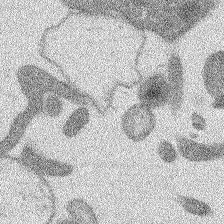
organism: Human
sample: HeLa cells